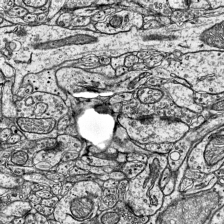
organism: Mouse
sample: Visual Cortex